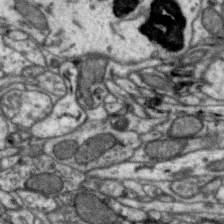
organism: Zebra finch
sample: Brain